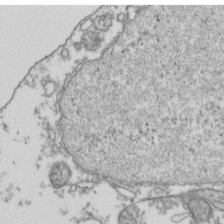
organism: Human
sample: Activated Jurkat CD4+ T cells